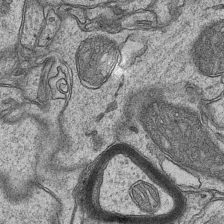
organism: Mouse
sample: CA1 Hippocampus